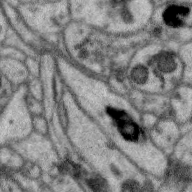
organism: Zebra finch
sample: Brain